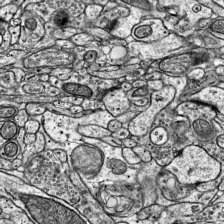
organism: Mouse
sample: Visual Cortex